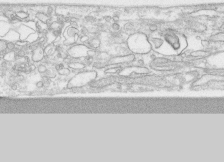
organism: Human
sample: CRL-1474